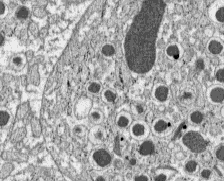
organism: C57BL Mouse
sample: Pancreatic islet